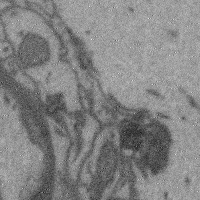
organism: Mouse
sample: Cerebral cortex